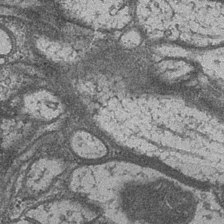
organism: Drosophila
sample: Optic medulla